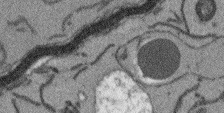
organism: Arabidopsis thaliana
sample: Root tip